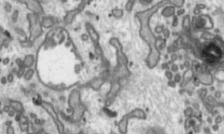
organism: Toxoplasma gondii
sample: Parasites in a vacuole inside a host cell